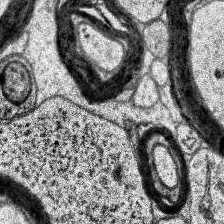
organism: Human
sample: Temporal Lobe